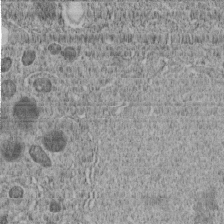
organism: C. elegans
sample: C. elegans embryo early stage